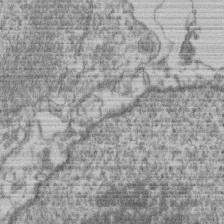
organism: Mouse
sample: T cell stromal cell synapse